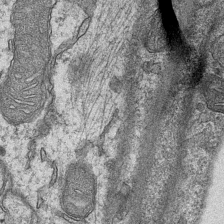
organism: Mouse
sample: CA1 Hippocampus